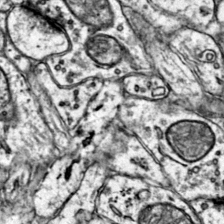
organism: Mouse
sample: Primary visual cortex